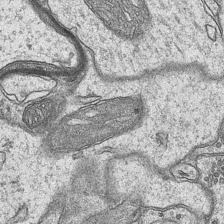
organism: Mouse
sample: CA1 Hippocampus